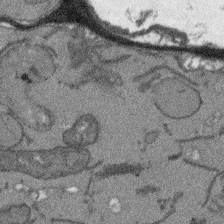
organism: Arabidopsis thaliana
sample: Root tip